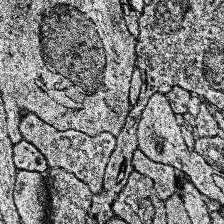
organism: Human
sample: Temporal Lobe